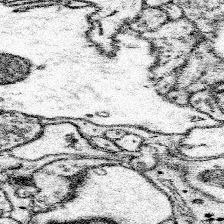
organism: Mouse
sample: Somatosensory cortex neuropil